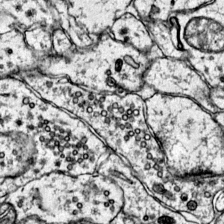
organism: Mouse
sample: Primary visual cortex